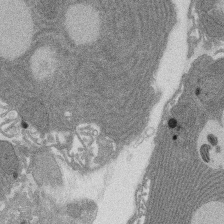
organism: Rat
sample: Salivary granule